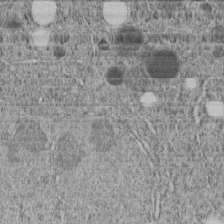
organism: C. elegans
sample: C. elegans embryo early stage